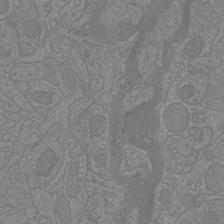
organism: Mouse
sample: Cortical neurons